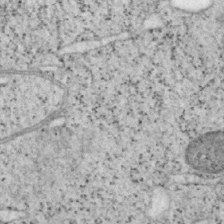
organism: Mouse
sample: OT-I killer T cells with ID8 ovarian cancer cells